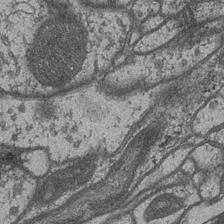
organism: Drosophila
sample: Optic medulla